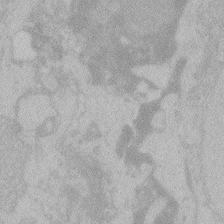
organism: Zebrafish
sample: Macrophage infected with Toxoplasma gondii